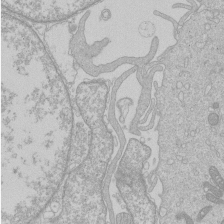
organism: Human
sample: Macrophage cells